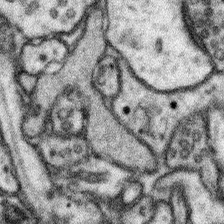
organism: Mouse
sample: Somatosensory cortex neuropil